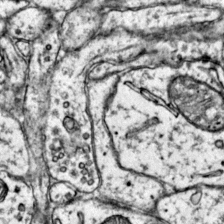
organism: Mouse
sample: Primary visual cortex